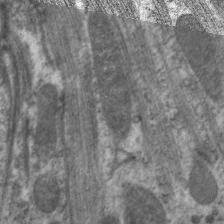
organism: C. elegans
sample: Pharynx